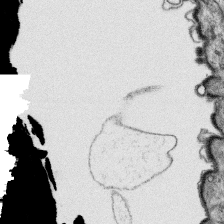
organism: Platynereis dumerilii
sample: Parapodia